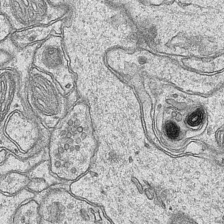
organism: Mouse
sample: CA1 Hippocampus